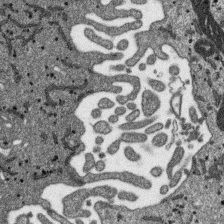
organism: Human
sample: Lung epithelial cells infected with SARS-CoV-2